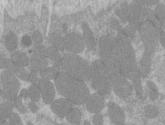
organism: C57BL Mouse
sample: Tibialis anterior muscle cell